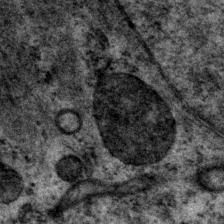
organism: P. pacificus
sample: Pharynx